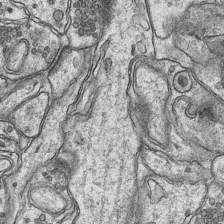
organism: Mouse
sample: CA1 Hippocampus